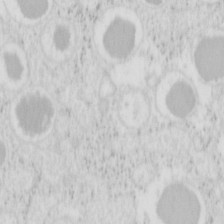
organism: Mouse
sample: Pancreas